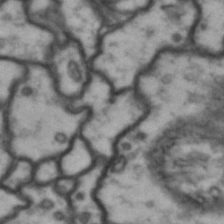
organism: Drosophila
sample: Brain